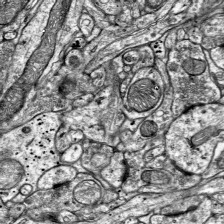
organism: Mouse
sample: Visual Cortex